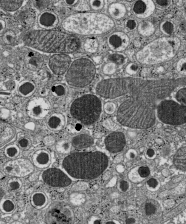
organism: C57BL Mouse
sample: Pancreatic islet